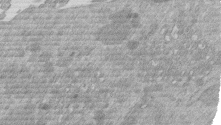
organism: Mouse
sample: Dividing mouse embryo 1 cell stage